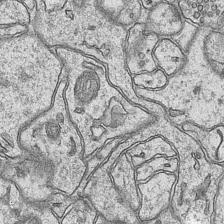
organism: Mouse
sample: CA1 Hippocampus